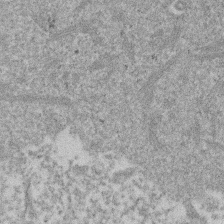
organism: Mouse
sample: Dividing mouse embryo 1 cell stage